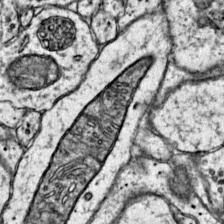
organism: Mouse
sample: Primary visual cortex